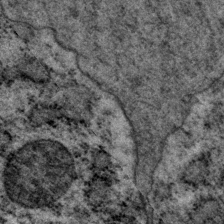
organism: P. pacificus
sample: Pharynx